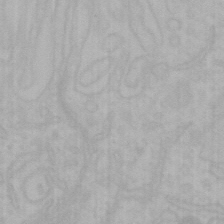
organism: Mouse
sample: Choroid plexus